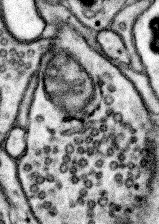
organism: Mouse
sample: Somatosensory cortex neuropil